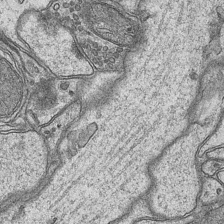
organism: Mouse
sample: CA1 Hippocampus